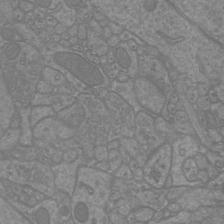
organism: Mouse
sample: Cortical neurons